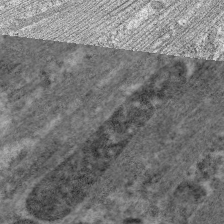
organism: C. elegans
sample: Pharynx